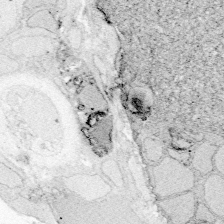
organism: Zebrafish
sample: Whole-Brain